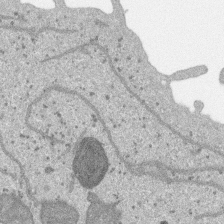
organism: Human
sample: Lung epithelial cells infected with SARS-CoV-2